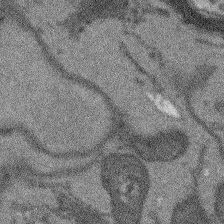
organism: Arabidopsis thaliana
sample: Root tip